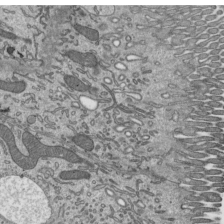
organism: Mouse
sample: Mouse epididymis efferent ductule cilia